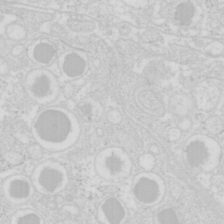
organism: Mouse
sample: Pancreas